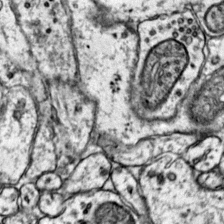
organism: Mouse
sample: Primary visual cortex